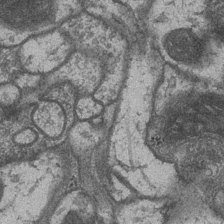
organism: Drosophila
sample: Optic medulla